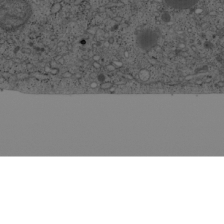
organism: African green monkey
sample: COS-7 cells